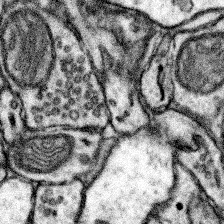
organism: Mouse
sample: Somatosensory cortex neuropil